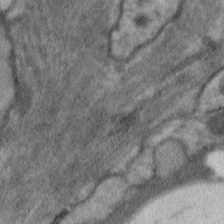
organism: C. elegans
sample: Pharynx